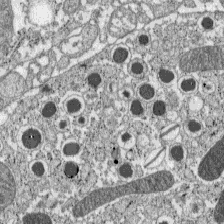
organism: C57BL Mouse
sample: Pancreatic islet